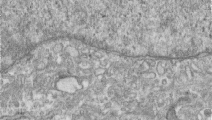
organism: Human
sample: Centriole in RPE cells